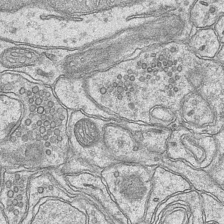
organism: Mouse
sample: CA1 Hippocampus